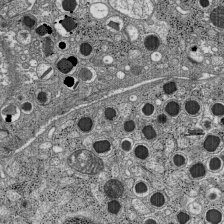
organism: C57BL Mouse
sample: Pancreatic islet